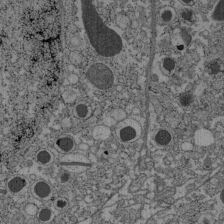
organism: C57BL Mouse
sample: Pancreatic islet